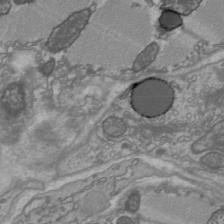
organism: C57BL Mouse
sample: Heart